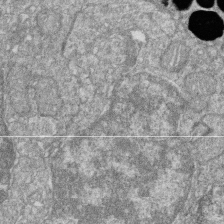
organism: Zebrafish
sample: Cilia; retinal pigment epithelium